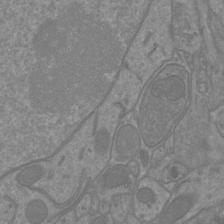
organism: Mouse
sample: Cortical neurons